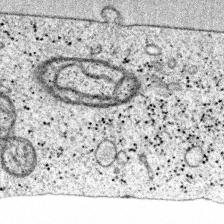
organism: Human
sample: HeLa cells